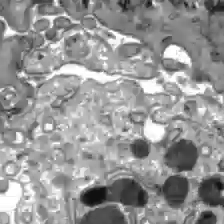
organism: C57BL Mouse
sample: Liver